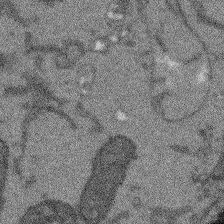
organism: Arabidopsis thaliana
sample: Root tip